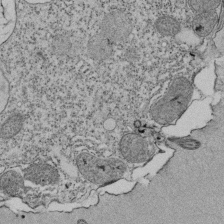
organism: Tetrahymena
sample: Cilia in tetrahymena